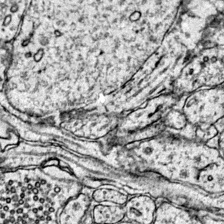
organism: Mouse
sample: Primary visual cortex